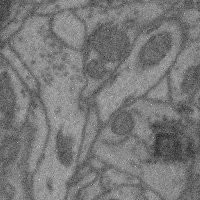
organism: Mouse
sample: Cerebral cortex